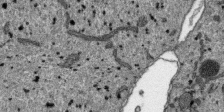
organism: Human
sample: Lung epithelial cells, uninfected (mock) control